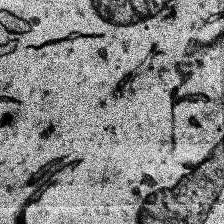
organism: Human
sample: Temporal Lobe